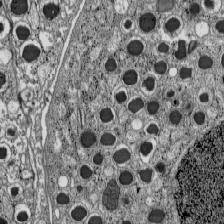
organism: C57BL Mouse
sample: Pancreatic islet